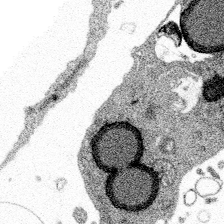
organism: Spongilla lacustris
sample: Multiple